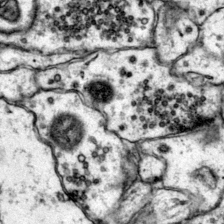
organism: Mouse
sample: Primary visual cortex